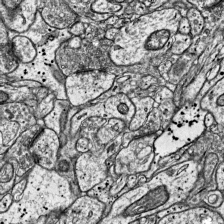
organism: Mouse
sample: Visual Cortex